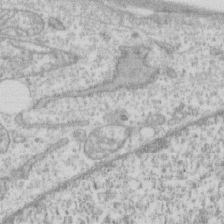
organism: Human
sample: CRL-1474